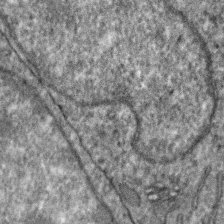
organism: Zebra finch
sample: Brain